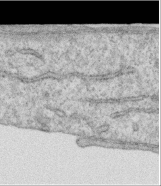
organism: Human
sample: Centriole in RPE cells